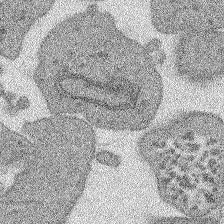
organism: Human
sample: HeLa cells